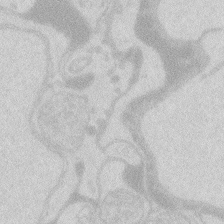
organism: Zebrafish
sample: Macrophage